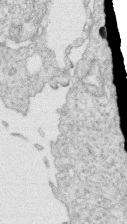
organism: Human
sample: HeLa cell HIV synapse